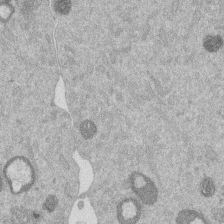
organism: Mouse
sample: Dividing mouse embryo 1 cell stage